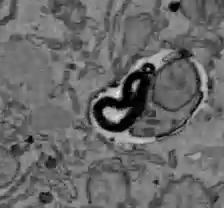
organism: C57BL Mouse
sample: Liver